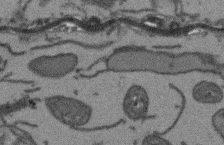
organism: Arabidopsis thaliana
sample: Root tip